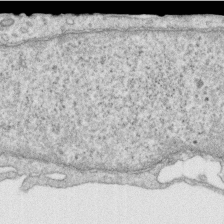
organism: Human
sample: Centriole in RPE cells